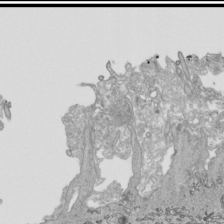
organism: Human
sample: Mitochondria in HCT116 cells